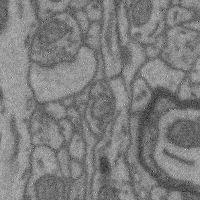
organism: Mouse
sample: Cerebral cortex